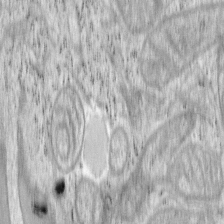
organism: Human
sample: HeLa cells